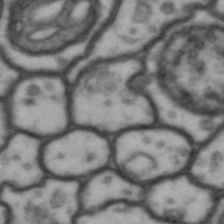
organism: Drosophila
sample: Brain